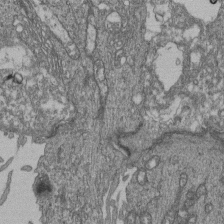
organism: Human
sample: Retinal organoid Rod and Cone cells